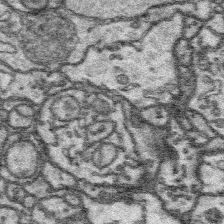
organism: Platynereis dumerilii